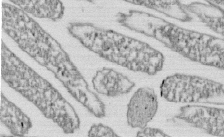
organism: E. coli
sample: Bacterial nucleoid